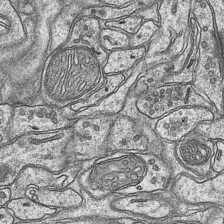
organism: Mouse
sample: CA1 Hippocampus